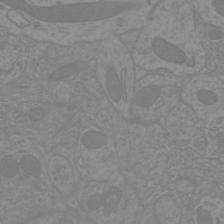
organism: Mouse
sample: Cortical neurons